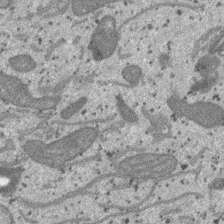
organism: Human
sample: Lung epithelial cells infected with SARS-CoV-2